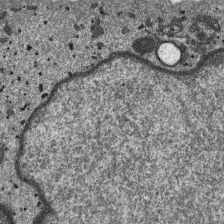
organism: Human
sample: Lung epithelial cells infected with SARS-CoV-2